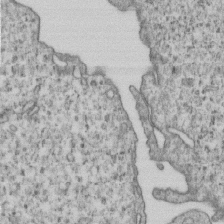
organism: Human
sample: MDA-MB-231 cells